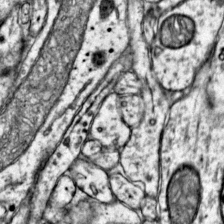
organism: Mouse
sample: Primary visual cortex